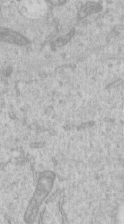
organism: Human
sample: Centriole in RPE cells